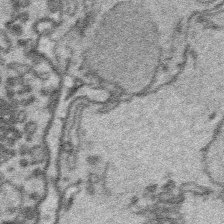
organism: Platynereis dumerilii